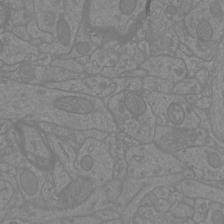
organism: Mouse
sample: Cortical neurons